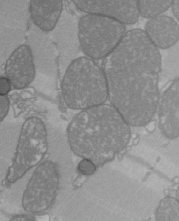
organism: C57BL Mouse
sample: Heart